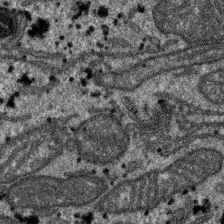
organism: Human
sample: Lung epithelial cells infected with SARS-CoV-2